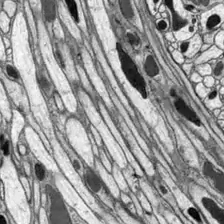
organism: Drosophila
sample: Optic lobe